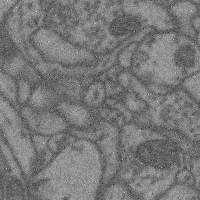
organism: Mouse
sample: Cerebral cortex